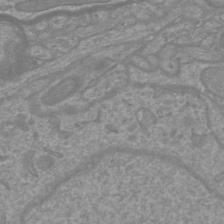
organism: Mouse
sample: Cortical neurons